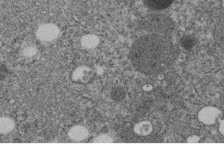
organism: C. elegans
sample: C. elegans embryo early stage